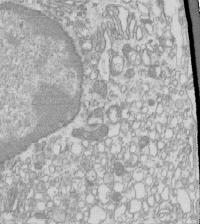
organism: Mouse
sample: Macrophages